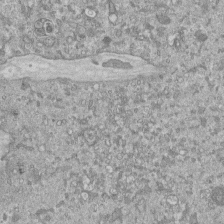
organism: Mouse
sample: ED-1 cell nuclei; centrioles